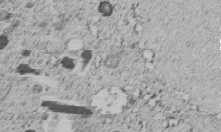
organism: C. elegans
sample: C. elegans embryo early stage